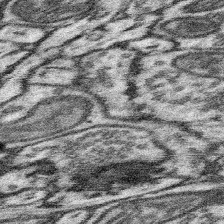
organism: Mouse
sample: Somatosensory cortex neuropil